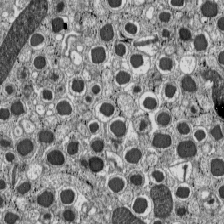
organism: C57BL Mouse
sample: Pancreatic islet